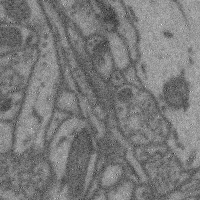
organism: Mouse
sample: Cerebral cortex